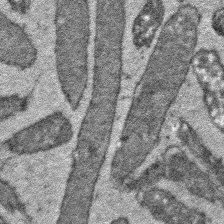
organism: E. coli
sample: E. Coli Bacteria